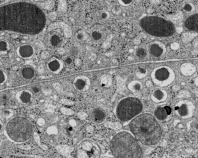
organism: C57BL Mouse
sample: Pancreatic islet